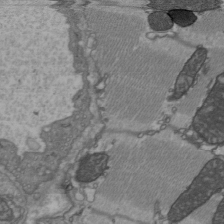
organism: C57BL Mouse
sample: Heart